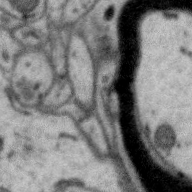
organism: Zebra finch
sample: Brain